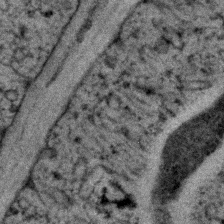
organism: C. elegans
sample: C. elegans embryo